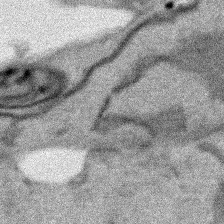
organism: Human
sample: Mitochondria in HCT116 cells